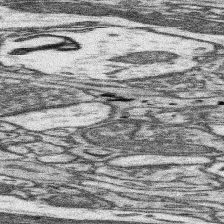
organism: Mouse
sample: Somatosensory cortex neuropil